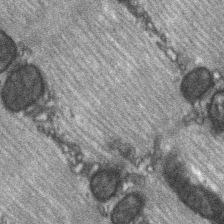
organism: C57BL Mouse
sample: Soleus